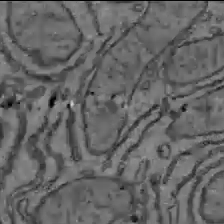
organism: C57BL Mouse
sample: Liver